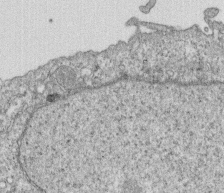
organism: Human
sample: HeLa cell HIV synapse